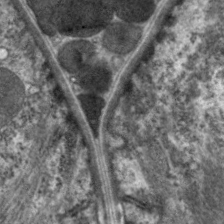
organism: C. elegans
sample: Pharynx